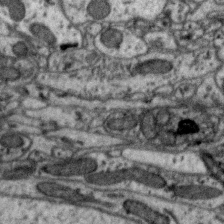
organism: Zebra finch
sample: Brain